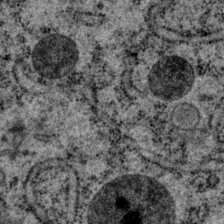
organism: P. pacificus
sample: Pharynx